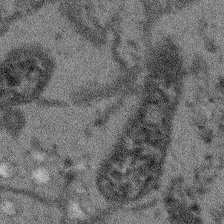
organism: Arabidopsis thaliana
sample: Root tip